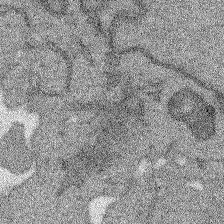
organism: Human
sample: HeLa cells